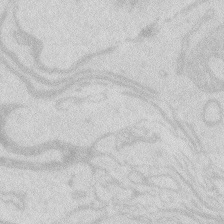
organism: Zebrafish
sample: Macrophage